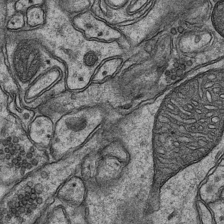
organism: Mouse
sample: CA1 Hippocampus